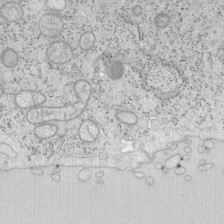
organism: Mouse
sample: OT-I killer T cells with ID8 ovarian cancer cells